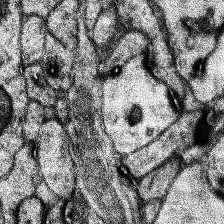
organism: Human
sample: Temporal Lobe